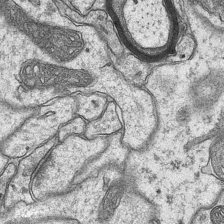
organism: Mouse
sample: CA1 Hippocampus